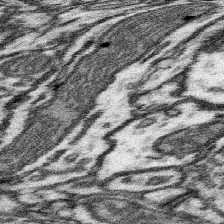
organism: Mouse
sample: Somatosensory cortex neuropil